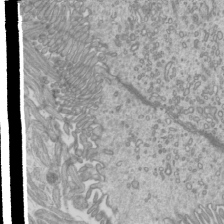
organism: Mouse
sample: Cilia; mouse epididymis